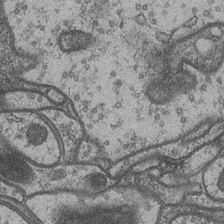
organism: Drosophila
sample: Optic medulla